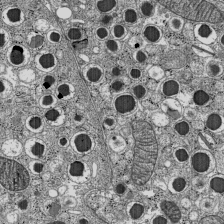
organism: C57BL Mouse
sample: Pancreatic islet